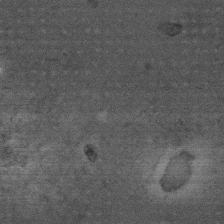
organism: Mouse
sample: Centriole in ependymal cells